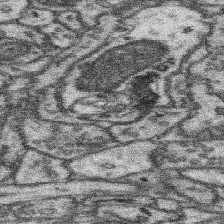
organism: Mouse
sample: Somatosensory cortex neuropil